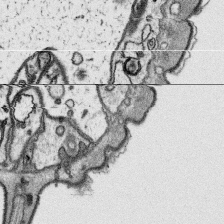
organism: Platynereis dumerilii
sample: Parapodia